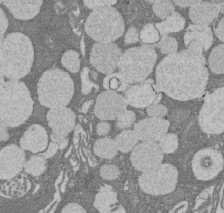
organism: Rat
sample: Salivary granule